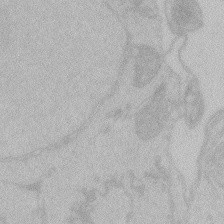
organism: Zebrafish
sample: Macrophage infected with Toxoplasma gondii